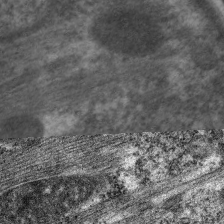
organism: C. elegans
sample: Pharynx